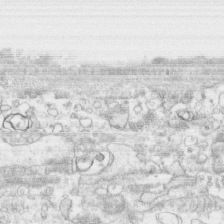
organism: Human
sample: CRL-1474